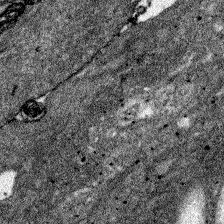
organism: Zebrafish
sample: Larval olfactory bulb